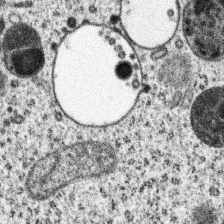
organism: Human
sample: HeLa cells